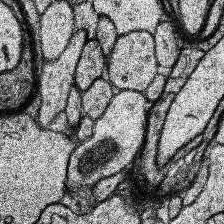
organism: Human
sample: Temporal Lobe